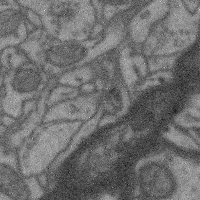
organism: Mouse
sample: Cerebral cortex